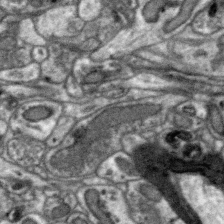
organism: Zebra finch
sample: Brain